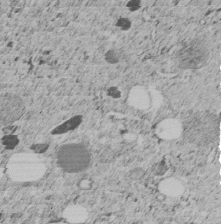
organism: C. elegans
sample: C. elegans embryo early stage